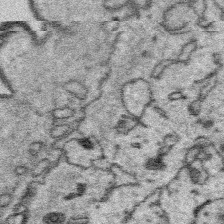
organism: Platynereis dumerilii